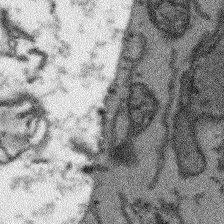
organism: Arabidopsis thaliana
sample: Root tip